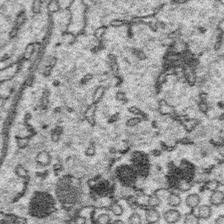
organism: Platynereis dumerilii